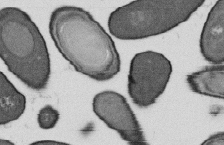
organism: B. subtilis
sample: Bacterial spore